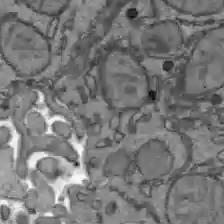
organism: C57BL Mouse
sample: Liver